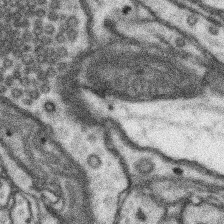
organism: Mouse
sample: Somatosensory cortex neuropil